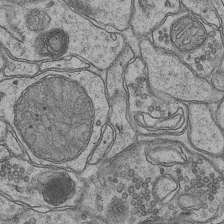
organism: Mouse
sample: CA1 Hippocampus